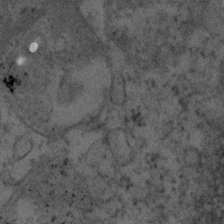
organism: Human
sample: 1205lu cells